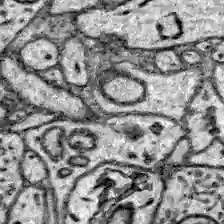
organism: Zebrafish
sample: Brain